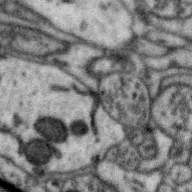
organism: Zebra finch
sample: Brain